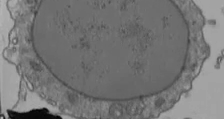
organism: Human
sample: Jurkat E6-1 and CD4 cells